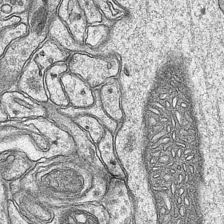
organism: Mouse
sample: CA1 Hippocampus